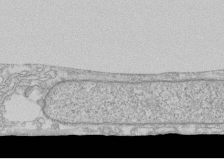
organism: Human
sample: CRL-1474